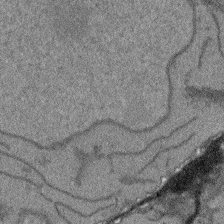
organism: Arabidopsis thaliana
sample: Root tip